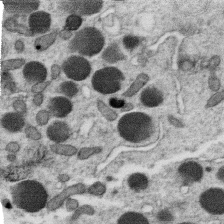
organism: C. elegans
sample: C. elegans oocyte; sperm cells